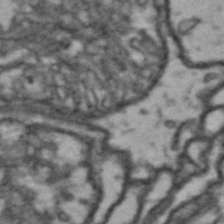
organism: Drosophila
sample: Brain